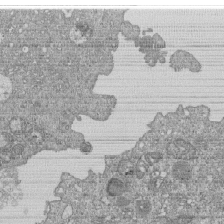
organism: Human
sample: MDA-MB-231 cells